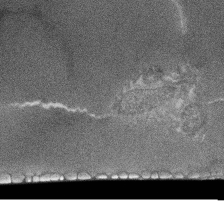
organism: Tetrahymena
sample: Cilia in tetrahymena